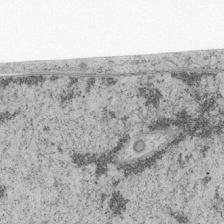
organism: Human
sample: HeLa cells